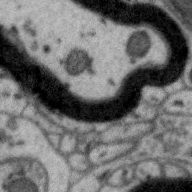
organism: Zebra finch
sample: Brain